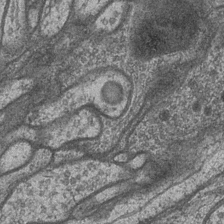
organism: Drosophila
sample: Optic medulla